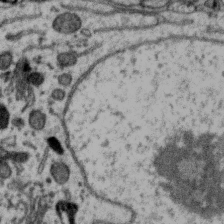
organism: Zebra finch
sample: Brain